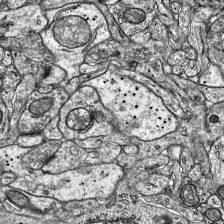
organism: Mouse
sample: Visual Cortex